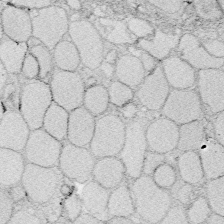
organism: Zebrafish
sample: Whole-Brain